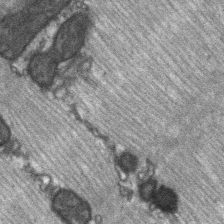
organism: C57BL Mouse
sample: Soleus